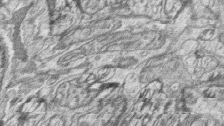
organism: Zebrafish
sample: synaptic ribbons in rod cells and cone cells